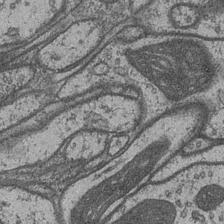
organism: Drosophila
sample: Optic medulla